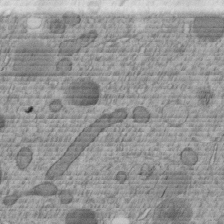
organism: C. elegans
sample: C. elegans embryo early stage